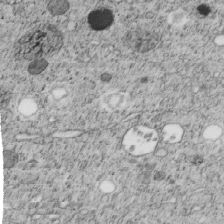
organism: C. elegans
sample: C. elegans embryo early stage